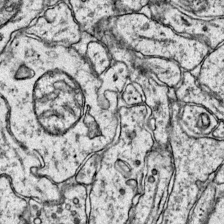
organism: Mouse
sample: Primary visual cortex